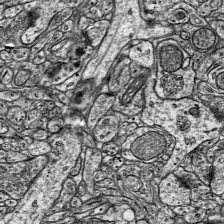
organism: Mouse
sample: Visual Cortex